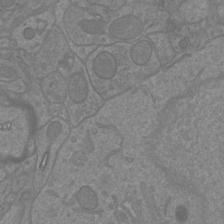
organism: Mouse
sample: Cortical neurons